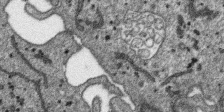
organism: Human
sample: Lung epithelial cells infected with SARS-CoV-2